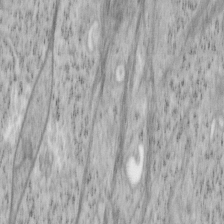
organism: Human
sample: HeLa cells